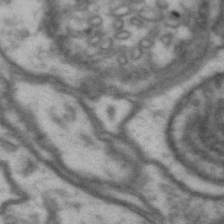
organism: Drosophila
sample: Brain